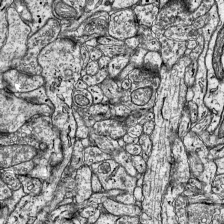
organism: Mouse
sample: Visual Cortex